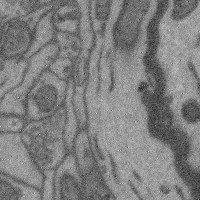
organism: Mouse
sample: Cerebral cortex